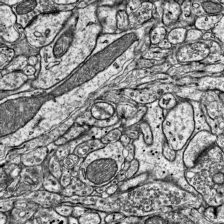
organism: Mouse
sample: Visual Cortex